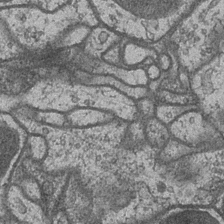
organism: Drosophila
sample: Optic medulla